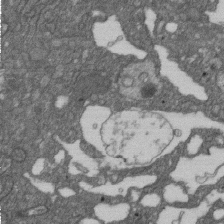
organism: Drosophila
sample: Nephrocyte